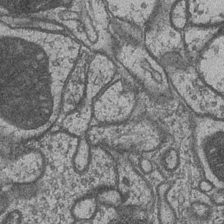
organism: Drosophila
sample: Optic medulla